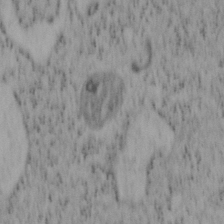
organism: Mouse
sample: OT-I killer T cells with ID8 ovarian cancer cells